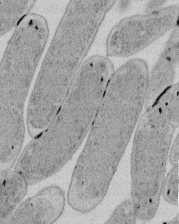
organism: E. coli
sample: Bacterial nucleoid